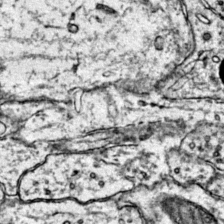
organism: Mouse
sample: Primary visual cortex